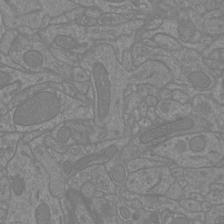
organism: Mouse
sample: Cortical neurons